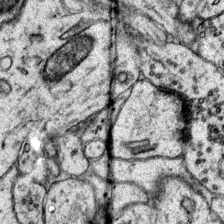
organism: Mouse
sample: Primary visual cortex